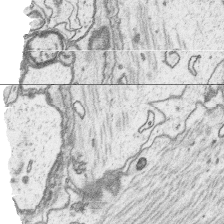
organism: Platynereis dumerilii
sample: Parapodia